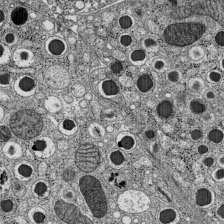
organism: C57BL Mouse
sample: Pancreatic islet